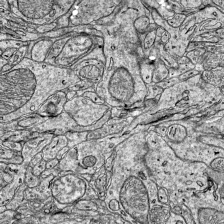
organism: Mouse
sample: Visual Cortex